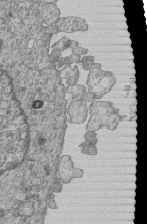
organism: Human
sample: MDA-MB-231 cells